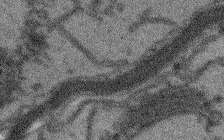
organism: Arabidopsis thaliana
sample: Root tip